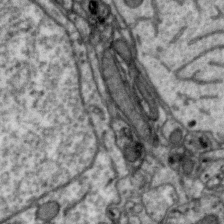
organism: Zebra finch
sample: Brain